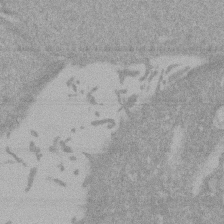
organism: Mouse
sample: ED-1 cell nuclei; centrioles